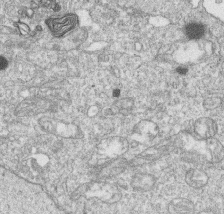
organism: Human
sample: HeLa cell HIV synapse